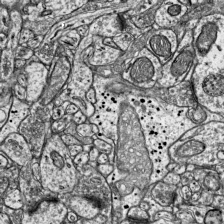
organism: Mouse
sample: Visual Cortex